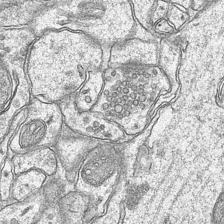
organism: Mouse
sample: CA1 Hippocampus